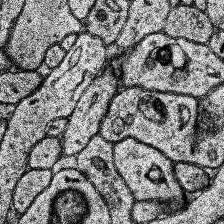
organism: Human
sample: Temporal Lobe